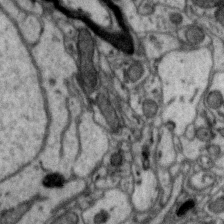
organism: Zebra finch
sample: Brain